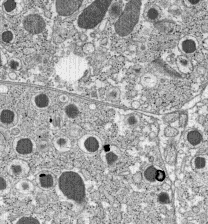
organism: C57BL Mouse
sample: Pancreatic islet